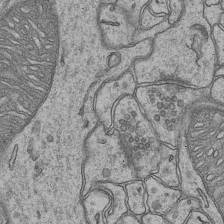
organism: Mouse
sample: CA1 Hippocampus